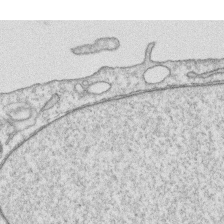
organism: Human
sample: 1205lu cells